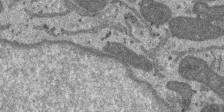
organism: Human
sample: Lung epithelial cells infected with SARS-CoV-2